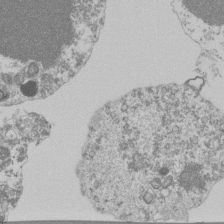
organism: Mouse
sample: Activated Pmel transgenic CD8+ T Cells